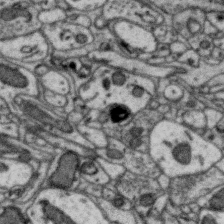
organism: Zebra finch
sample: Brain